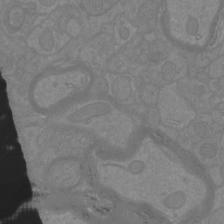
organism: Mouse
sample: Cortical neurons